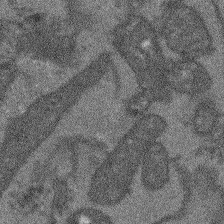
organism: Arabidopsis thaliana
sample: Root tip